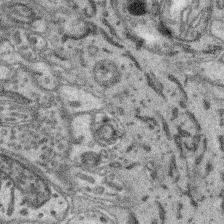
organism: Mouse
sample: Retina